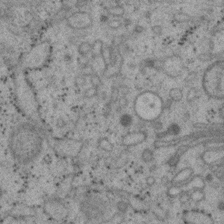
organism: Human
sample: HeLa cells